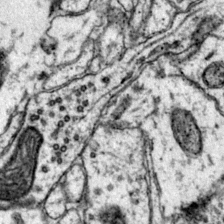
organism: Mouse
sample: Primary visual cortex